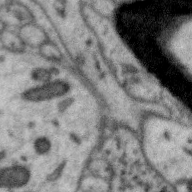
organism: Zebra finch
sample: Brain